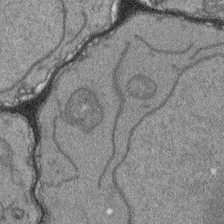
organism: Arabidopsis thaliana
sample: Root tip